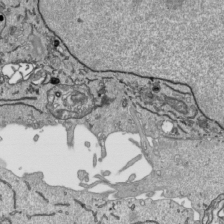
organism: Human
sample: Mitochondria in HCT116 cells